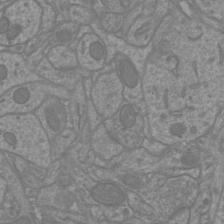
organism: Mouse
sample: Cortical neurons